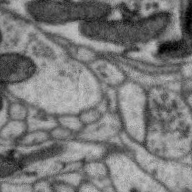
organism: Zebra finch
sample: Brain